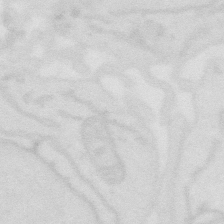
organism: Human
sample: HeLa cells